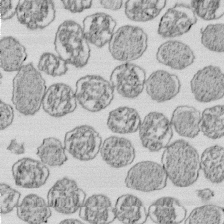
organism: E. coli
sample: Bacterial nucleoid